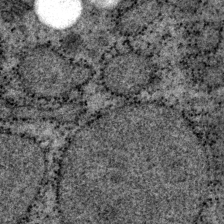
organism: P. pacificus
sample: Pharynx